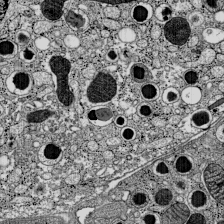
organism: C57BL Mouse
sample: Pancreatic islet